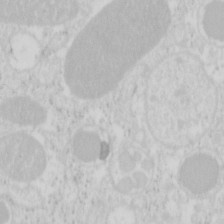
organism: Mouse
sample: Pancreas